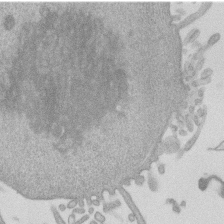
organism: Mouse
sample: Dividing mouse embryo 1 cell stage